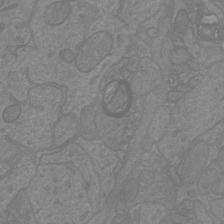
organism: Mouse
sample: Cortical neurons